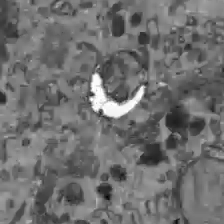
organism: C57BL Mouse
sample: Liver